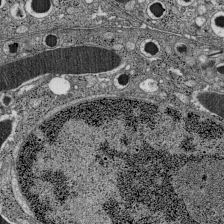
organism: C57BL Mouse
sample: Pancreatic islet